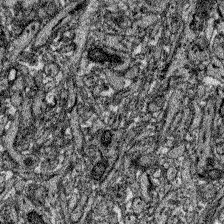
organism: Zebrafish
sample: Larval olfactory bulb